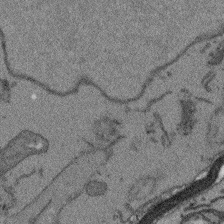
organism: Arabidopsis thaliana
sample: Root tip